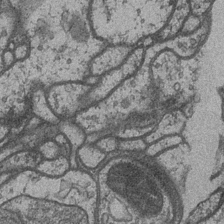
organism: Drosophila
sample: Optic medulla